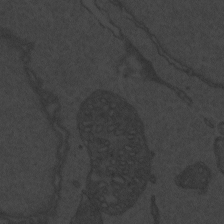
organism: Zebrafish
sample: Macrophage infected with Toxoplasma gondii